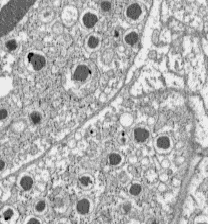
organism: C57BL Mouse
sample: Pancreatic islet